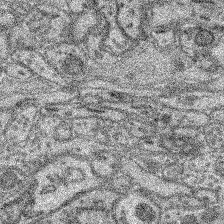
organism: Mouse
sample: Retina